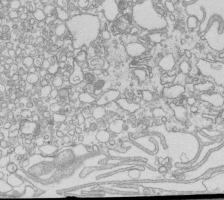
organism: Mouse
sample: Macrophages